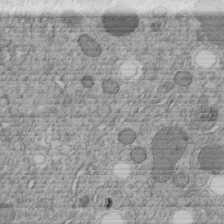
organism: C. elegans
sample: C. elegans embryo early stage